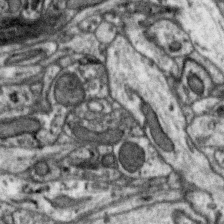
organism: Zebra finch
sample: Brain